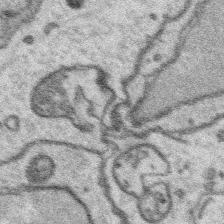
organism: Platynereis dumerilii